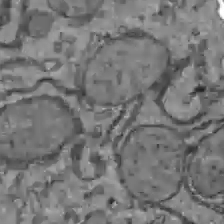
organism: C57BL Mouse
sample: Liver